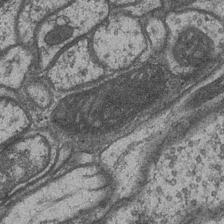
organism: Drosophila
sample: Optic medulla